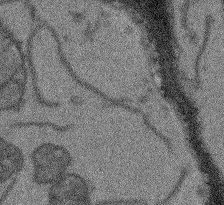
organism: Arabidopsis thaliana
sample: Root tip